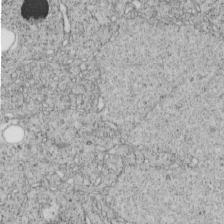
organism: C. elegans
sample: C. elegans embryo early stage